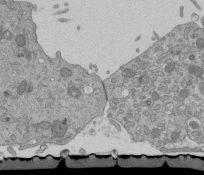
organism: Mouse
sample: ED-1 cell nuclei; centrioles